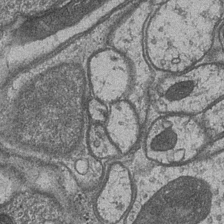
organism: Drosophila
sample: Optic medulla